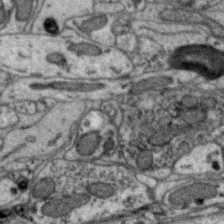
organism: Zebra finch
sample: Brain